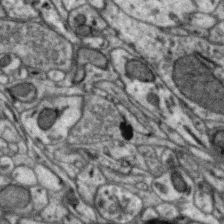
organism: Zebra finch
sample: Brain